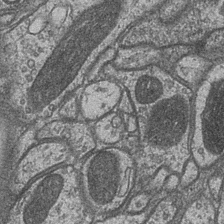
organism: Drosophila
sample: Optic medulla